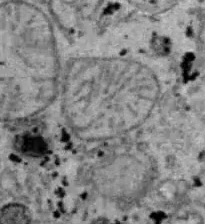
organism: Mouse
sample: Liver from an obese (ob/ob) mouse